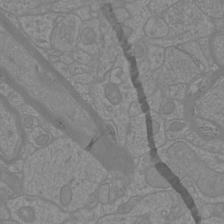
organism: Mouse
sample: Cortical neurons